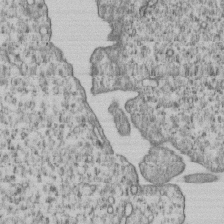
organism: Human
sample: MDA-MB-231 cells